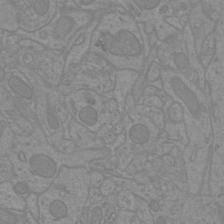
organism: Mouse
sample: Cortical neurons